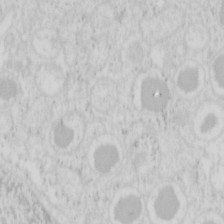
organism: Mouse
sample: Pancreas